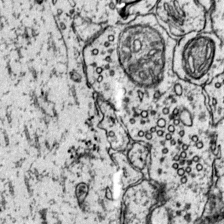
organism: Mouse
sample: Primary visual cortex